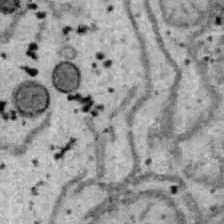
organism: Mouse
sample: Liver from an obese (ob/ob) mouse